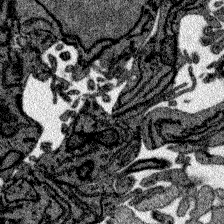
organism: Zebrafish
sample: Larval olfactory bulb